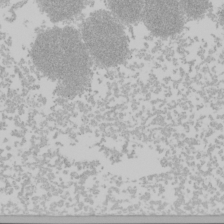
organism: Mouse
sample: Cancer cell death in ED-1 cells